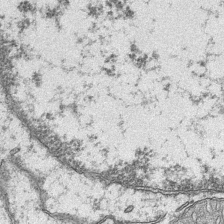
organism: Mouse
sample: CA1 Hippocampus